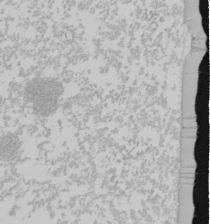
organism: Mouse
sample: Cancer cell death in ED-1 cells